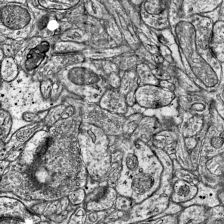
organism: Mouse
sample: Visual Cortex